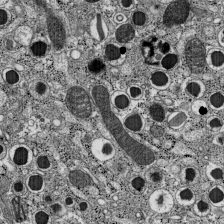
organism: C57BL Mouse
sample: Pancreatic islet